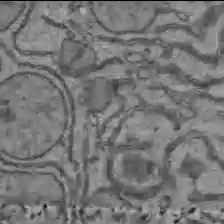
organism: C57BL Mouse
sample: Liver